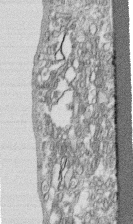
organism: Human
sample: CRL-1474